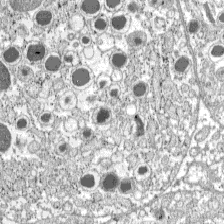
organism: C57BL Mouse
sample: Pancreatic islet